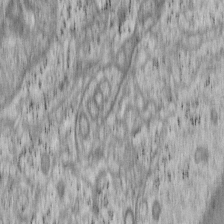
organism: Human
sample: HeLa cells